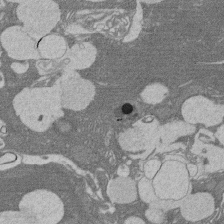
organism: Rat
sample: Salivary granule